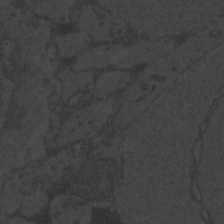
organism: Zebrafish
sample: Macrophage infected with Toxoplasma gondii